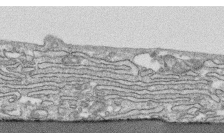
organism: Human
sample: CRL-1474